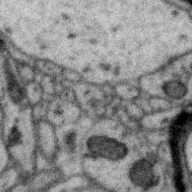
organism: Zebra finch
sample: Brain